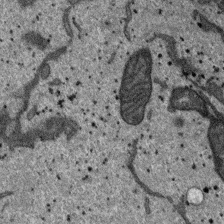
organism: Human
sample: Lung epithelial cells, uninfected (mock) control